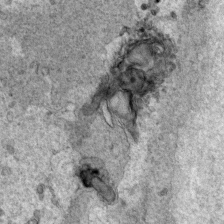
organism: Human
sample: Mitochondria in HCT116 cells